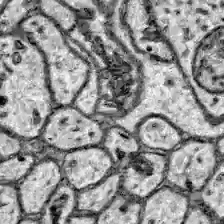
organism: Zebrafish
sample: Brain